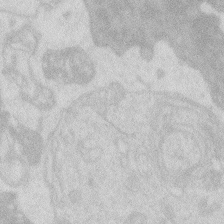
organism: Zebrafish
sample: Macrophage